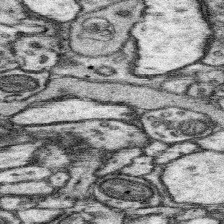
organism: Mouse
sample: Somatosensory cortex neuropil